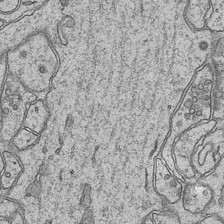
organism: Mouse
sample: CA1 Hippocampus